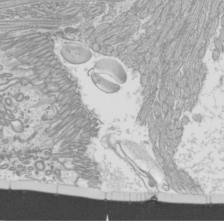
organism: Mouse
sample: Cilia; mouse epididymis